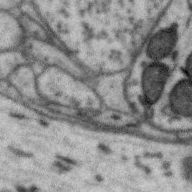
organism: Zebra finch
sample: Brain